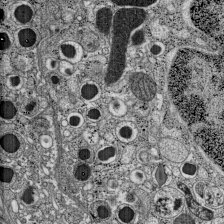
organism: C57BL Mouse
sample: Pancreatic islet